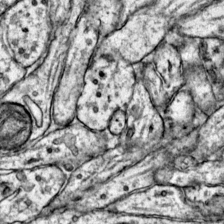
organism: Mouse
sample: Primary visual cortex